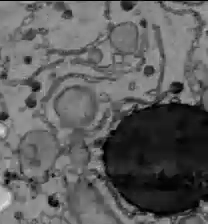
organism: C57BL Mouse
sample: Liver